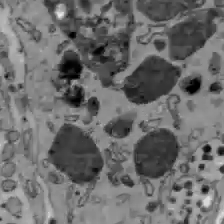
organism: C57BL Mouse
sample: Liver